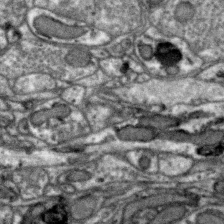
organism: Zebra finch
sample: Brain